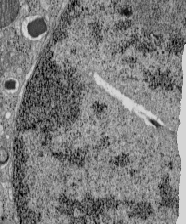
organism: C57BL Mouse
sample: Pancreatic islet